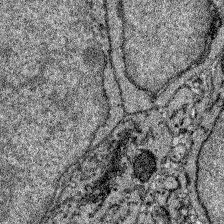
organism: Zebrafish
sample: Larval olfactory bulb